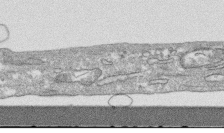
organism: Human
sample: CRL-1474